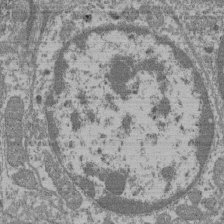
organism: Mouse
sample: Glomerulus